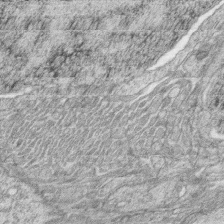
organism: Zebrafish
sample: synaptic ribbons in rod cells and cone cells